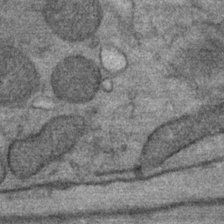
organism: Mouse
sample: Mouse Salivary gland